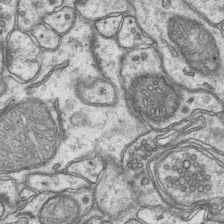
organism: Mouse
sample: CA1 Hippocampus